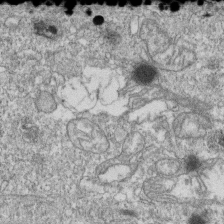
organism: Human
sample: HeLa cell HIV synapse